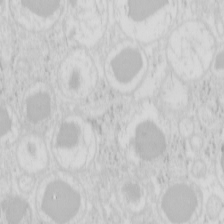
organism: Mouse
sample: Pancreas